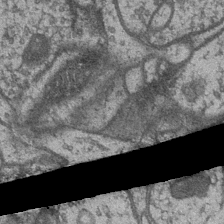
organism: Drosophila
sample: Optic medulla